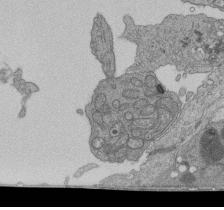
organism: Human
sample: Retinal organoid Rod and Cone cells